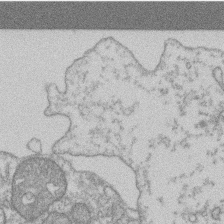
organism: Mouse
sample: T cell stromal cell synapse